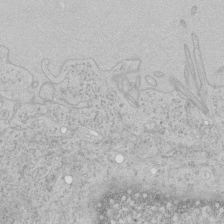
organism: Human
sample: Mitochondria in HCT116 cells